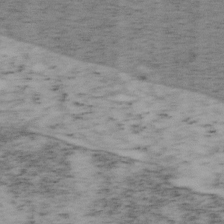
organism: Mouse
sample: OT-I killer T cells with ID8 ovarian cancer cells